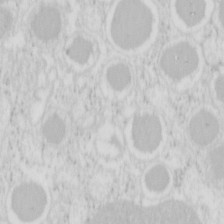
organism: Mouse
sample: Pancreas